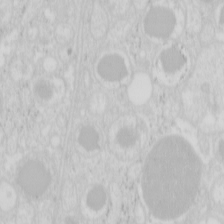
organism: Mouse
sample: Pancreas